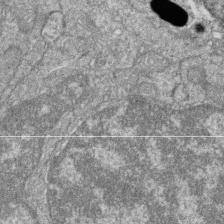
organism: Zebrafish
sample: Cilia; retinal pigment epithelium